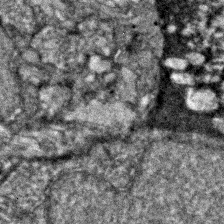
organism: Zebrafish